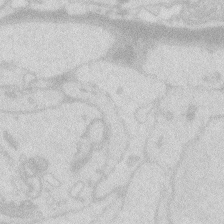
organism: Zebrafish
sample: Macrophage